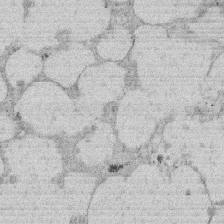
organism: Rat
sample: Salivary granule